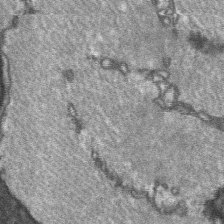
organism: C57BL Mouse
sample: Soleus